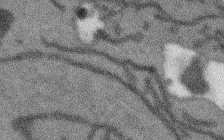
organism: Arabidopsis thaliana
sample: Root tip